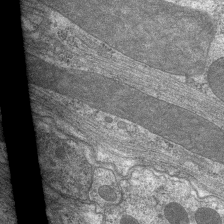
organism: C. elegans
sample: Pharynx